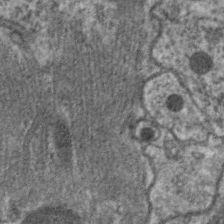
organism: C. elegans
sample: Pharynx